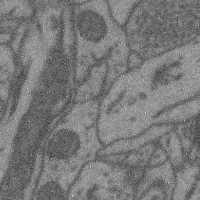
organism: Mouse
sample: Cerebral cortex